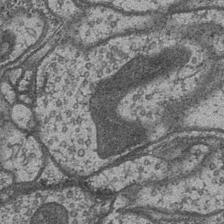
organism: Drosophila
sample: Optic medulla